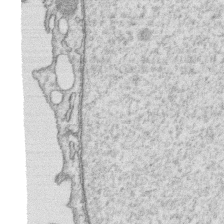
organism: Human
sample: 1205lu cells